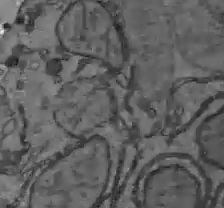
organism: C57BL Mouse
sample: Liver